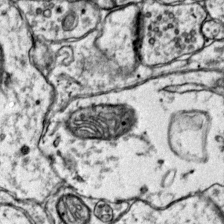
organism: Mouse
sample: Primary visual cortex